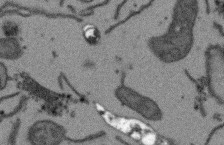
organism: Arabidopsis thaliana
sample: Root tip